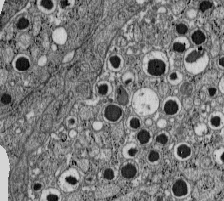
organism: C57BL Mouse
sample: Pancreatic islet